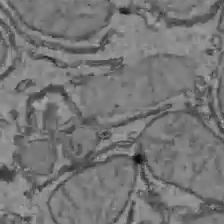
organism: C57BL Mouse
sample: Liver